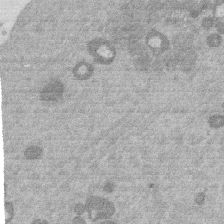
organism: Mouse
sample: Dividing mouse embryo 1 cell stage